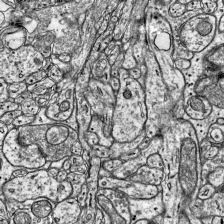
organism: Mouse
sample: Visual Cortex